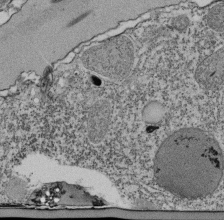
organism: Tetrahymena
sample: Cilia in tetrahymena